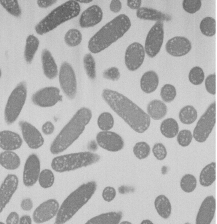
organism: E. coli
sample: Bacterial nucleoid